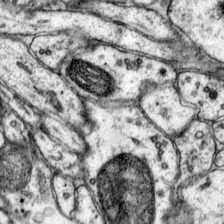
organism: Mouse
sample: Primary visual cortex